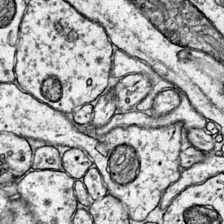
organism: Mouse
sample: Primary visual cortex